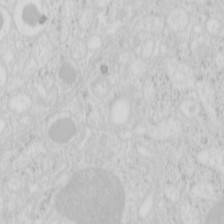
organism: Mouse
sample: Pancreas